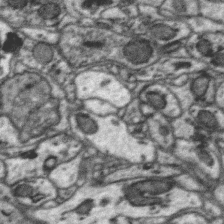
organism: Zebra finch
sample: Brain